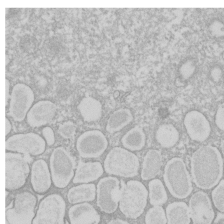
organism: Xenopus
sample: Cilia; centrioles in frog embryo cells